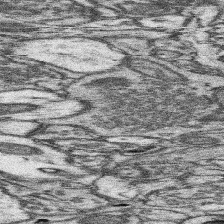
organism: Mouse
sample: Somatosensory cortex neuropil